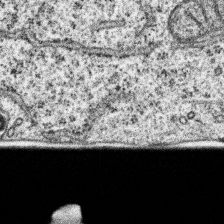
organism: Human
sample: HeLa cells